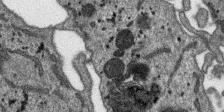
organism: Human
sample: Lung epithelial cells infected with SARS-CoV-2